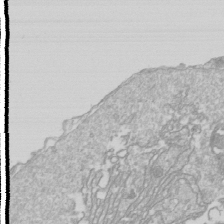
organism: Drosophila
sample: Cell division; meiosis; drosophila spermatocytes